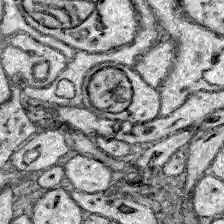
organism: Zebrafish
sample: Brain